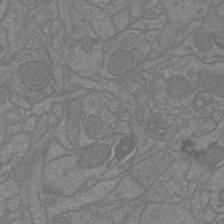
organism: Mouse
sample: Cortical neurons